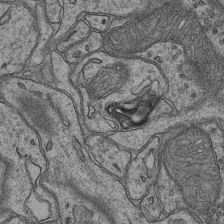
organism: Mouse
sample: CA1 Hippocampus